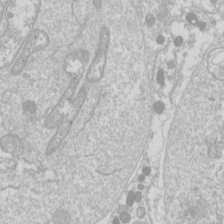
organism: Drosophila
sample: Cell division; meiosis; drosophila spermatocytes